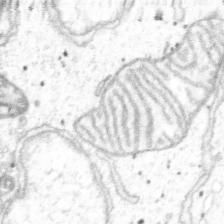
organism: Human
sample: HeLa cells